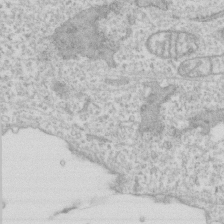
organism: Human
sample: CRL-1474